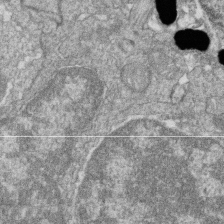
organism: Zebrafish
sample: Cilia; retinal pigment epithelium